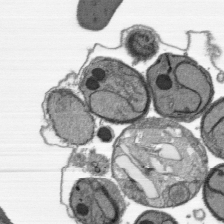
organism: Plasmodium falciparum